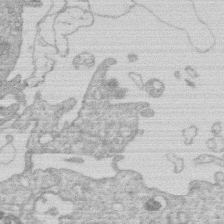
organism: Human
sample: Macrophage cells